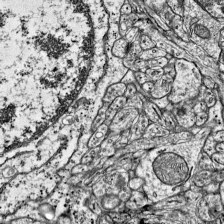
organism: Mouse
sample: Visual Cortex